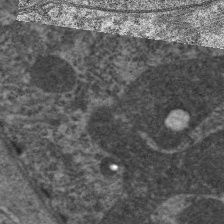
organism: C. elegans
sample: Pharynx